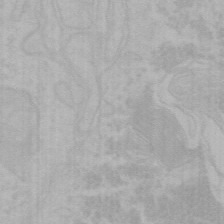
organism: Mouse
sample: Choroid plexus